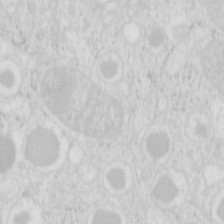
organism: Mouse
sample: Pancreas